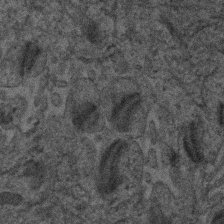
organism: Human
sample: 1205lu cells